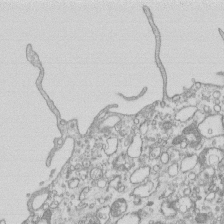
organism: Mouse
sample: Macrophages